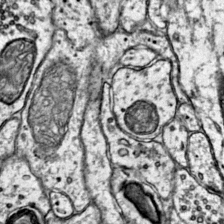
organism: Mouse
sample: Primary visual cortex